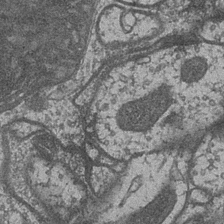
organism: Drosophila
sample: Optic medulla